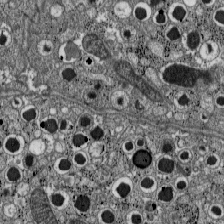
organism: C57BL Mouse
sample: Pancreatic islet